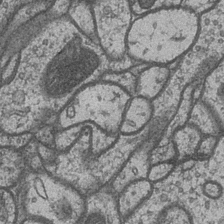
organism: Drosophila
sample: Optic medulla